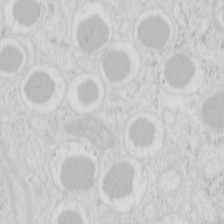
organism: Mouse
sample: Pancreas